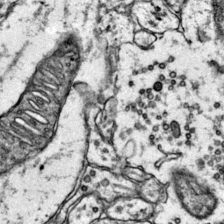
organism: Mouse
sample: Primary visual cortex